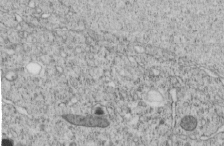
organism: C. elegans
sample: C. elegans embryo early stage